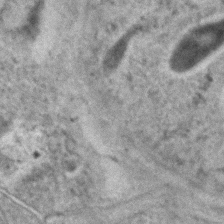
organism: C. elegans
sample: C. elegans embryo